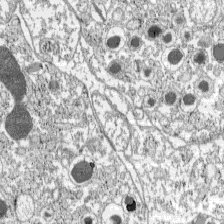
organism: C57BL Mouse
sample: Pancreatic islet